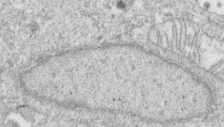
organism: Human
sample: HeLa cell HIV synapse